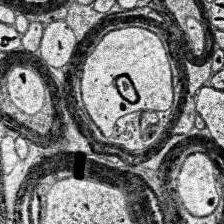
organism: Human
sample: Temporal Lobe